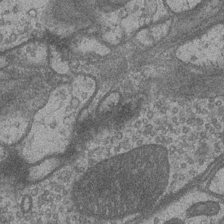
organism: Drosophila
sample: Optic medulla